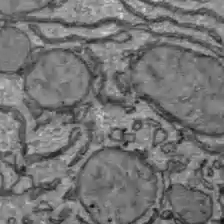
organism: C57BL Mouse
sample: Liver